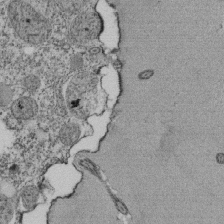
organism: Tetrahymena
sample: Cilia in tetrahymena